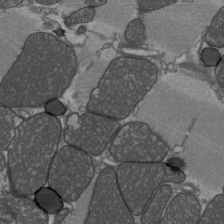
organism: C57BL Mouse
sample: Heart